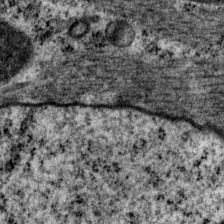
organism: P. pacificus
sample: Pharynx